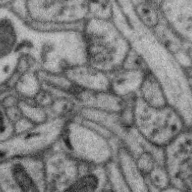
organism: Zebra finch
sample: Brain